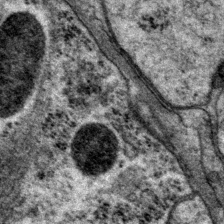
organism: P. pacificus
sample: Pharynx